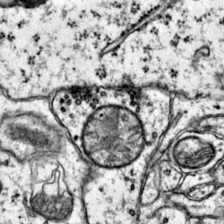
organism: Mouse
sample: Primary visual cortex